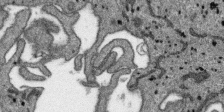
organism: Human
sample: Lung epithelial cells, uninfected (mock) control